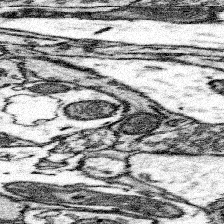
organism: Mouse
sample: Somatosensory cortex neuropil